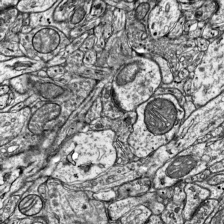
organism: Mouse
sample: Visual Cortex